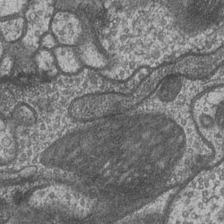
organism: Drosophila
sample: Optic medulla